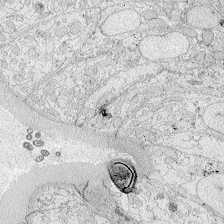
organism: Zebrafish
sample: Whole-Brain